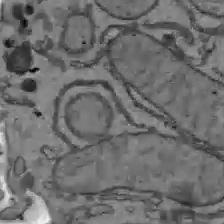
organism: C57BL Mouse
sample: Liver